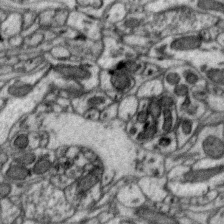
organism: Zebra finch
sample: Brain